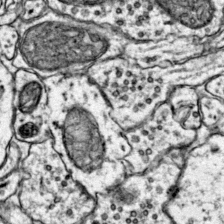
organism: Mouse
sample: Primary visual cortex